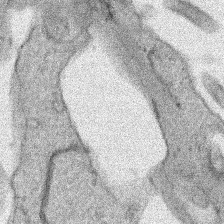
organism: Human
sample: Mitochondria in HCT116 cells